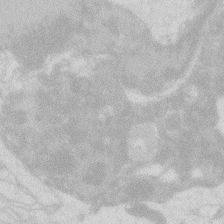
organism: Zebrafish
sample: Macrophage